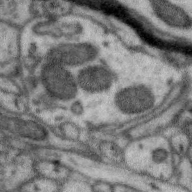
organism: Zebra finch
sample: Brain